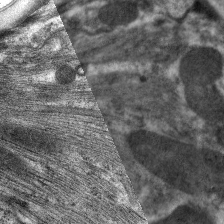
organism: C. elegans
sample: Pharynx